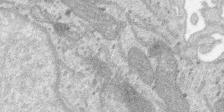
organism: Human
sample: Lung epithelial cells infected with SARS-CoV-2